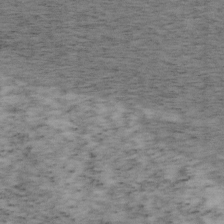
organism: Mouse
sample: OT-I killer T cells with ID8 ovarian cancer cells